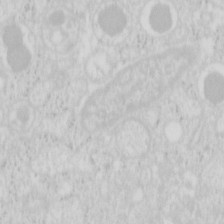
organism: Mouse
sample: Pancreas